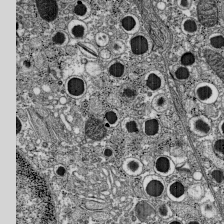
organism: C57BL Mouse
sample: Pancreatic islet